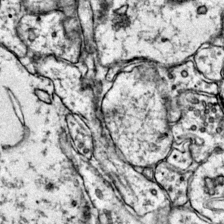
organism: Mouse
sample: Primary visual cortex